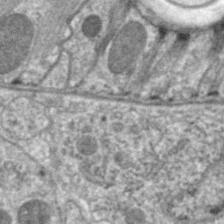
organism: C. elegans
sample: Pharynx